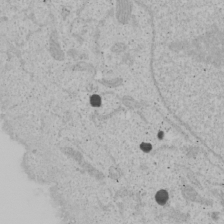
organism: Human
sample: Mitochondria in U2OS cells